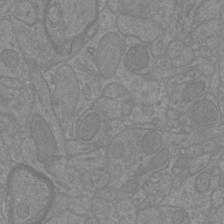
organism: Mouse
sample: Cortical neurons